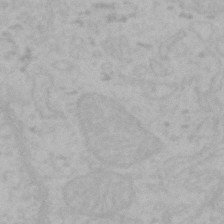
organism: Mouse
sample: Choroid plexus